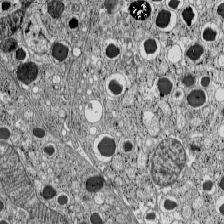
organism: C57BL Mouse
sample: Pancreatic islet